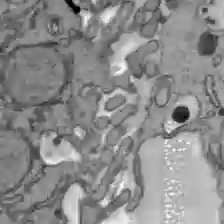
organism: C57BL Mouse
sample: Liver